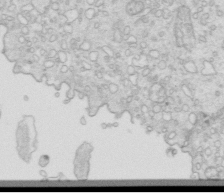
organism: Mouse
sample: Multiciliated cells